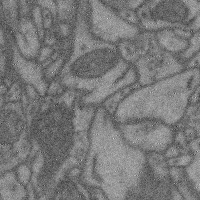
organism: Mouse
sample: Cerebral cortex